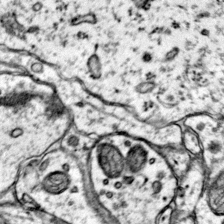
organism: Mouse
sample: Primary visual cortex